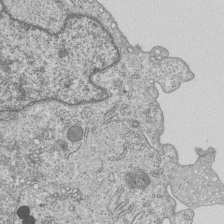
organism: Human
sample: MDA-MB-231 cells